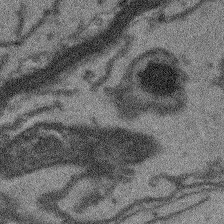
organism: Arabidopsis thaliana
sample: Root tip